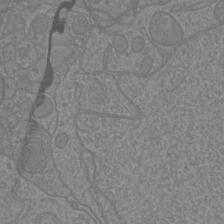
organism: Mouse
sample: Cortical neurons